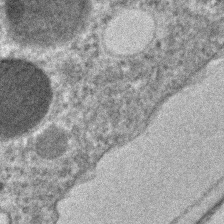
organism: C. elegans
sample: C. elegans embryo